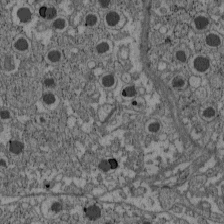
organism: C57BL Mouse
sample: Pancreatic islet